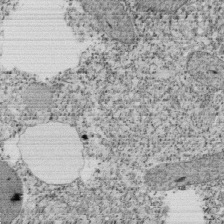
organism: Tetrahymena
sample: Cilia in tetrahymena